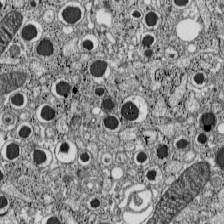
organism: C57BL Mouse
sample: Pancreatic islet